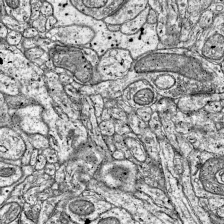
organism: Mouse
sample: Visual Cortex